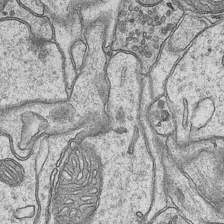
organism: Mouse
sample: CA1 Hippocampus